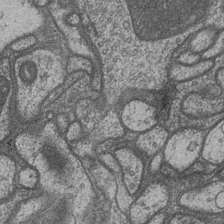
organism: Drosophila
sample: Optic medulla